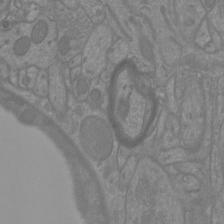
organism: Mouse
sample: Cortical neurons